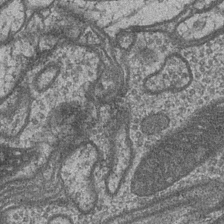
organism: Drosophila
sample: Optic medulla